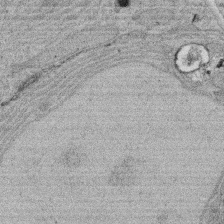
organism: Rat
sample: Salivary granule